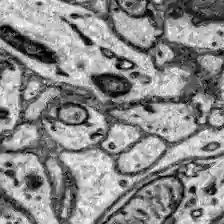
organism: Zebrafish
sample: Brain